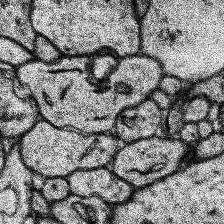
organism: Human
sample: Temporal Lobe